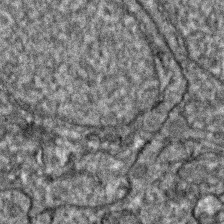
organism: Zebrafish